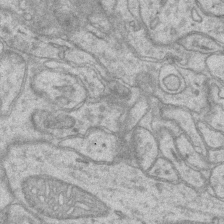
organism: Mouse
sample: CA1 Hippocampus